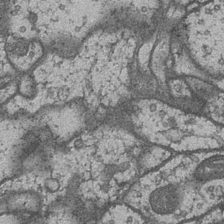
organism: Drosophila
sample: Optic medulla